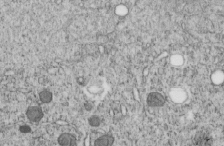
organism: C. elegans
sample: C. elegans embryo early stage